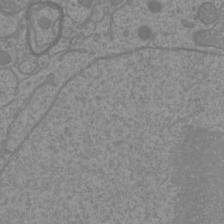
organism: Mouse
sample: Cortical neurons